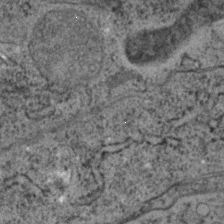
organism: C. elegans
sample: C. elegans embryo